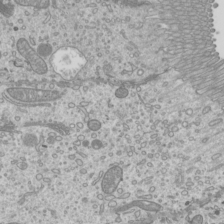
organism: Mouse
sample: Cilia; mouse epididymis